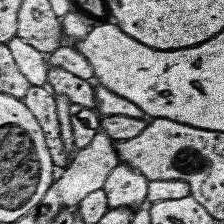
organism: Human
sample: Temporal Lobe